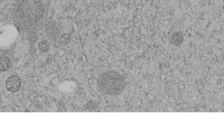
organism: C. elegans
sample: C. elegans embryo early stage